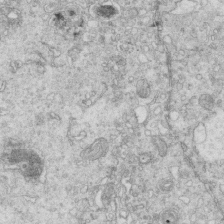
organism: Mouse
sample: Multiciliated cells